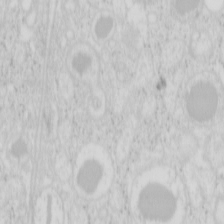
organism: Mouse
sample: Pancreas